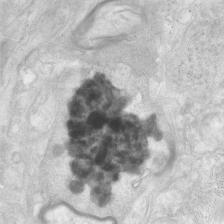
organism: Human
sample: Neocortex